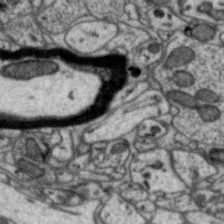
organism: Zebra finch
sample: Brain